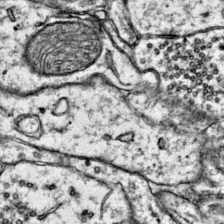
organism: Mouse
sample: Primary visual cortex